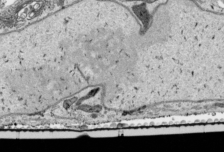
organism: Human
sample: Mitochondria in HCT116 cells